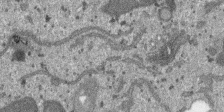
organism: Human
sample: Lung epithelial cells infected with SARS-CoV-2